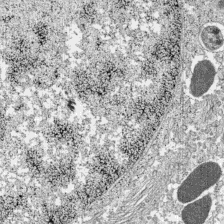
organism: C57BL Mouse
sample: Pancreatic islet